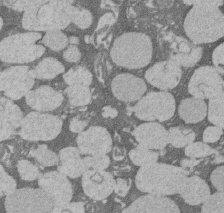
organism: Rat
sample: Salivary granule